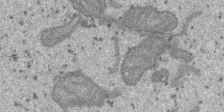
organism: Human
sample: Lung epithelial cells infected with SARS-CoV-2